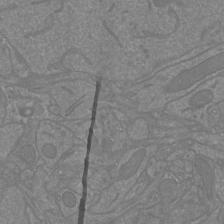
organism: Mouse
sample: Cortical neurons